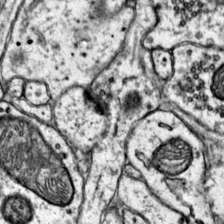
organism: Mouse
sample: Primary visual cortex